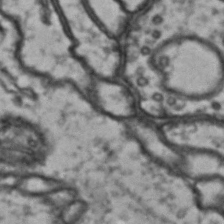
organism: Drosophila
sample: Brain